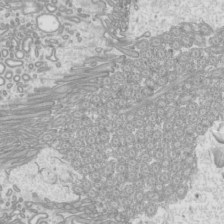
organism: Mouse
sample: Cilia; mouse epididymis